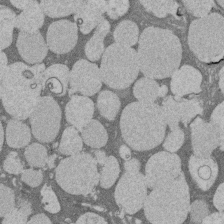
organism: Rat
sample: Salivary granule